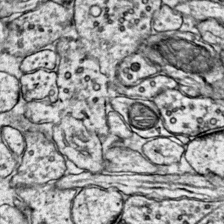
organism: Mouse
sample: Primary visual cortex